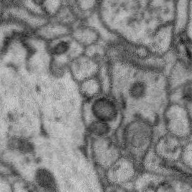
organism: Zebra finch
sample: Brain